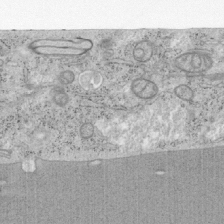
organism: Human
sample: HeLa cells